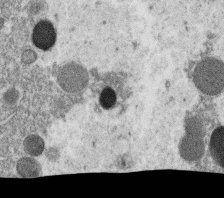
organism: C. elegans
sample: C. elegans oocyte; sperm cells